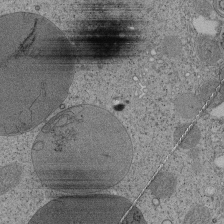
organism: Tetrahymena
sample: Cilia in tetrahymena